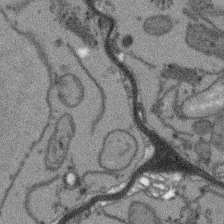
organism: Arabidopsis thaliana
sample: Root tip